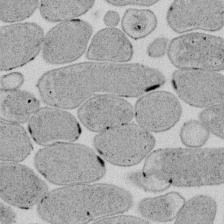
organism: E. coli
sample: Bacterial nucleoid